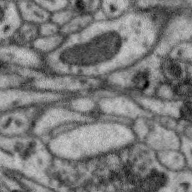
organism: Zebra finch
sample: Brain